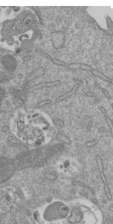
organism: Mouse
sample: ED-1 cell nuclei; centrioles